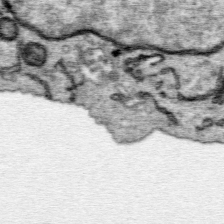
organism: Human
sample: HeLa cells